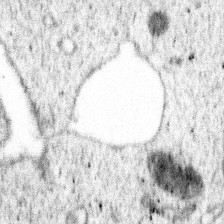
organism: Human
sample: HeLa cells